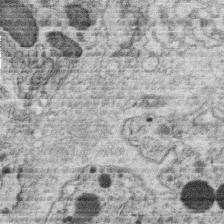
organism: C. elegans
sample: C. elegans oocyte; sperm cells